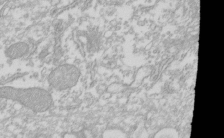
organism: Xenopus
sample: Cilia; centrioles in frog embryo cells